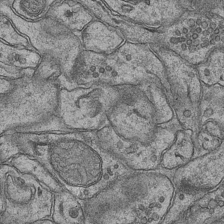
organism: Mouse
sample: CA1 Hippocampus